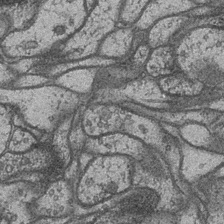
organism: Drosophila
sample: Optic medulla